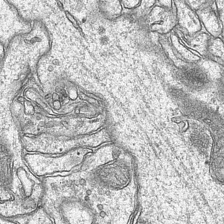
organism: Mouse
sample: CA1 Hippocampus